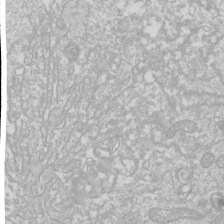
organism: Drosophila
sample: Cell division; meiosis; drosophila spermatocytes